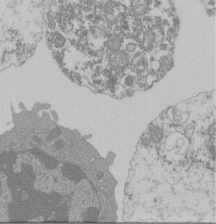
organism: Mouse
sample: Activated Pmel transgenic CD8+ T Cells